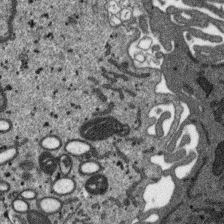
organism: Human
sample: Lung epithelial cells infected with SARS-CoV-2